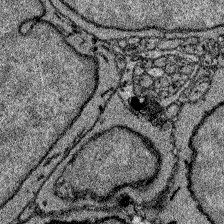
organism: Zebrafish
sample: Larval olfactory bulb